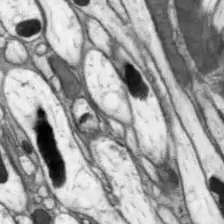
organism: Drosophila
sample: Optic lobe